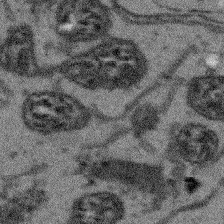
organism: Arabidopsis thaliana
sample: Root tip